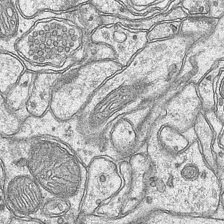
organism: Mouse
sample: CA1 Hippocampus